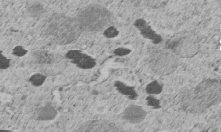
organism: C. elegans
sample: C. elegans embryo early stage